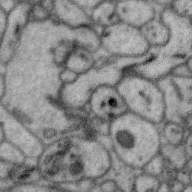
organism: Zebra finch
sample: Brain